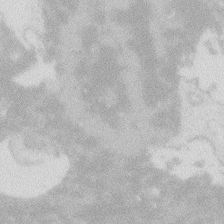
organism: Zebrafish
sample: Macrophage